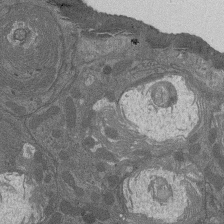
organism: Drosophila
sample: Antenna